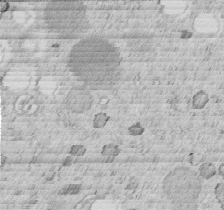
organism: C. elegans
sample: C. elegans embryo early stage